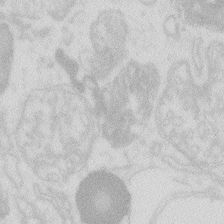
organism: Zebrafish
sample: Macrophage